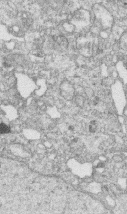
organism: Human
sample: HeLa cell HIV synapse